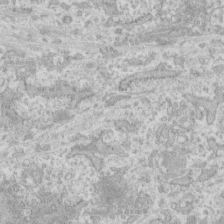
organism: Human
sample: CRL-1474